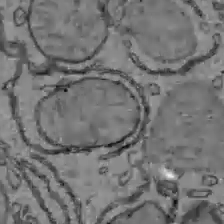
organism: C57BL Mouse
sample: Liver